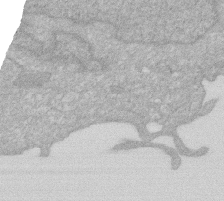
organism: Human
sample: HIV infected U937 cells